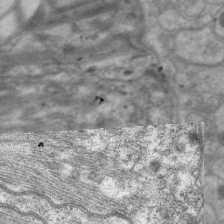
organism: C. elegans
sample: Pharynx